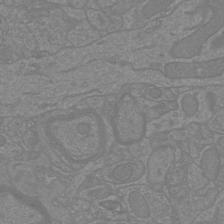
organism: Mouse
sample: Cortical neurons